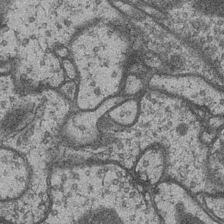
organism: Drosophila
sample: Optic medulla